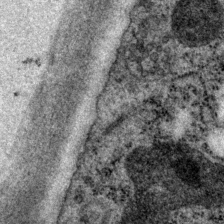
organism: P. pacificus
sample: Pharynx